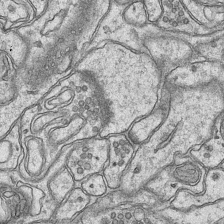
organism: Mouse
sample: CA1 Hippocampus